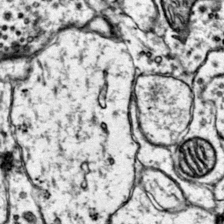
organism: Mouse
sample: Primary visual cortex